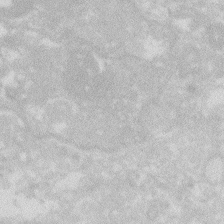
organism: Zebrafish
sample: Macrophage